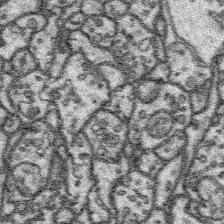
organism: Platynereis dumerilii